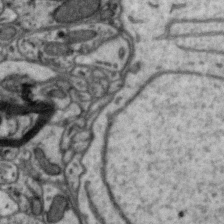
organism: Zebra finch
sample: Brain